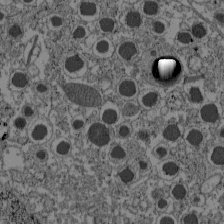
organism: C57BL Mouse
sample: Pancreatic islet